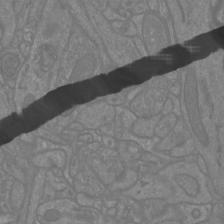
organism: Mouse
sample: Cortical neurons